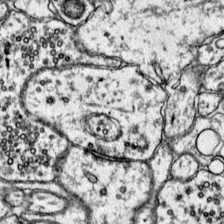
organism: Mouse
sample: Primary visual cortex